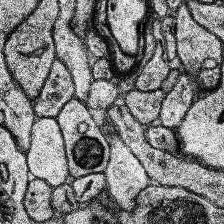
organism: Human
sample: Temporal Lobe